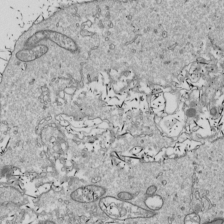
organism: Drosophila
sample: Cell division; meiosis; drosophila spermatocytes